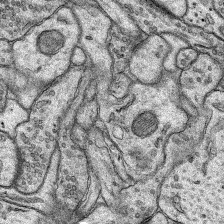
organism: Rat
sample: Hippocampus